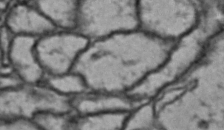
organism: Drosophila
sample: Brain